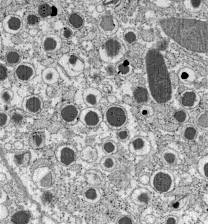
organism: C57BL Mouse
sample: Pancreatic islet